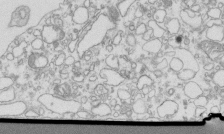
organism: Mouse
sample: Macrophages